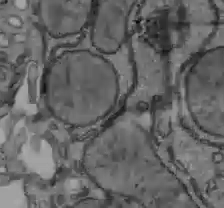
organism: C57BL Mouse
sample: Liver